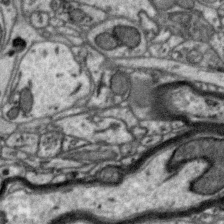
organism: Zebra finch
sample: Brain